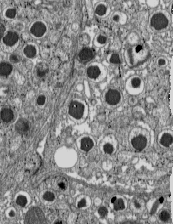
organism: C57BL Mouse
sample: Pancreatic islet